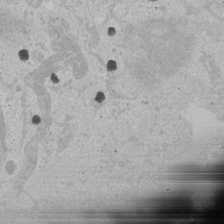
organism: Human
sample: Mitochondria in U2OS cells